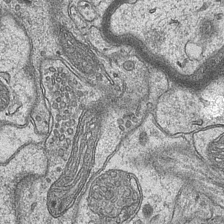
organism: Mouse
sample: CA1 Hippocampus